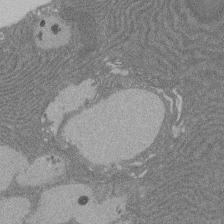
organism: Rat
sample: Salivary granule